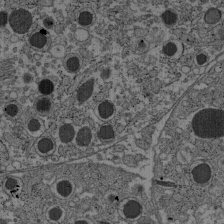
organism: C57BL Mouse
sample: Pancreatic islet